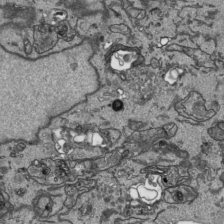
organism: Human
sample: Mitochondria in HCT116 cells